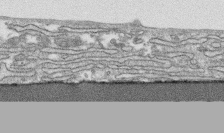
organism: Human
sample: CRL-1474